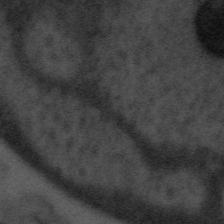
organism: Tuwongella immobilis